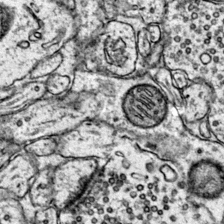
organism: Mouse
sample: Primary visual cortex